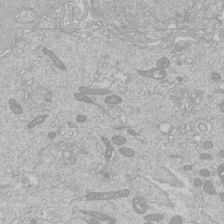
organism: Human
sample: Macrophage cells